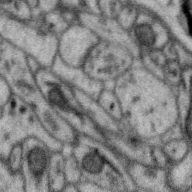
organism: Zebra finch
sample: Brain